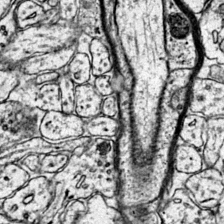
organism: Mouse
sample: Primary visual cortex